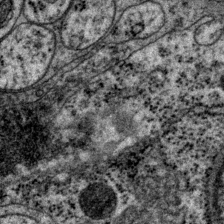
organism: P. pacificus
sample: Pharynx